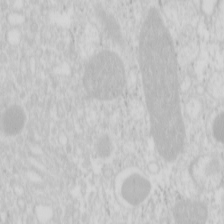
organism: Mouse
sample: Pancreas